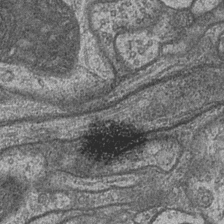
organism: Drosophila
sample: Optic medulla